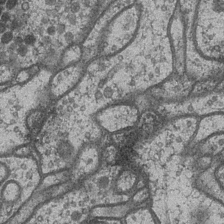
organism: Drosophila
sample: Optic medulla